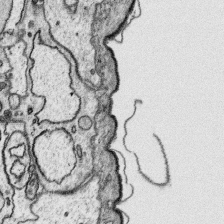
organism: Platynereis dumerilii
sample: Parapodia